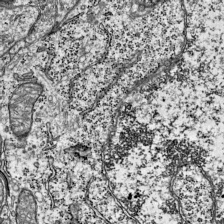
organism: Mouse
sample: Visual Cortex